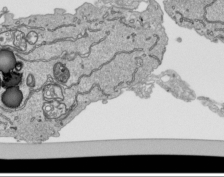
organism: Human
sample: Mitochondria in HCT116 cells